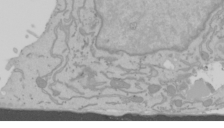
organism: Mouse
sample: Cancer cell death in ED-1 cells